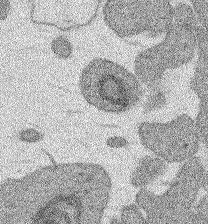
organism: Human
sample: HeLa cells